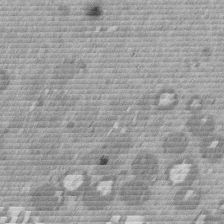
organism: Mouse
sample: Dividing mouse embryo 1 cell stage